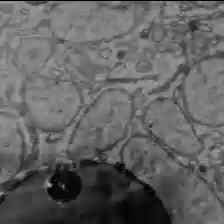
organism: C57BL Mouse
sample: Liver